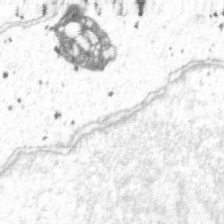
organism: Human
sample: HeLa cells